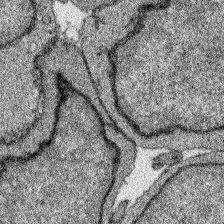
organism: Zebrafish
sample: Larval olfactory bulb